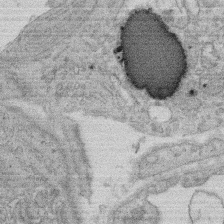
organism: Rat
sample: Salivary granule